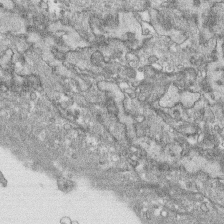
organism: Human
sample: CRL-1474